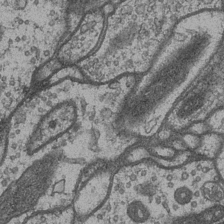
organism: Drosophila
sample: Optic medulla